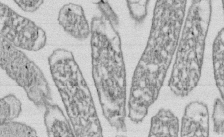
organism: E. coli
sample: Bacterial nucleoid